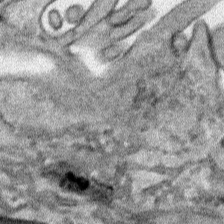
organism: Human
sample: Mitochondria in HCT116 cells